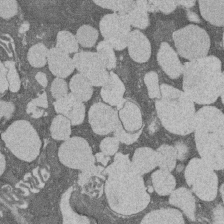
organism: Rat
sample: Salivary granule